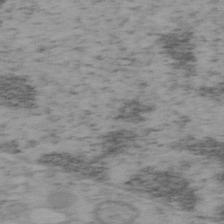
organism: Mouse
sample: OT-I killer T cells with ID8 ovarian cancer cells